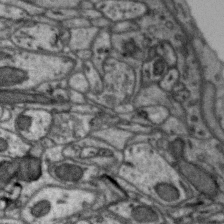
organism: Zebra finch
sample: Brain